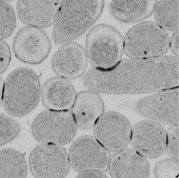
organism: E. coli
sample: Bacterial nucleoid